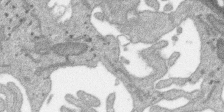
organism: Human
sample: Lung epithelial cells infected with SARS-CoV-2